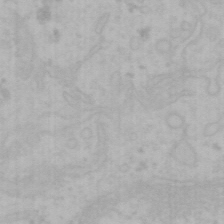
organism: Mouse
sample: Choroid plexus